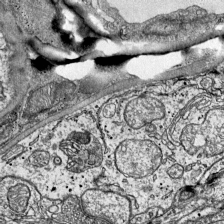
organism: Mouse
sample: Visual Cortex